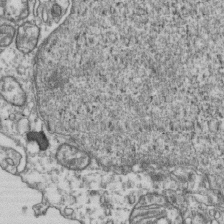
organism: Human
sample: Activated Jurkat CD4+ T cells